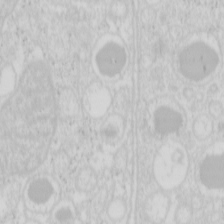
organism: Mouse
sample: Pancreas